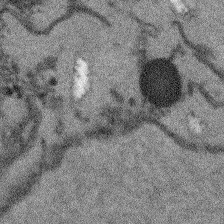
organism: Arabidopsis thaliana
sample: Root tip